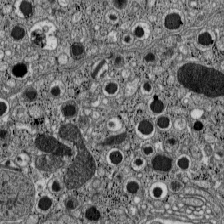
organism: C57BL Mouse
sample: Pancreatic islet